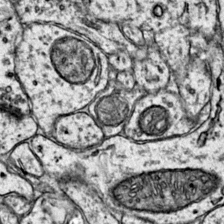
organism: Mouse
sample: Primary visual cortex